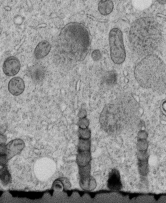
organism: C. elegans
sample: C. elegans embryo early stage